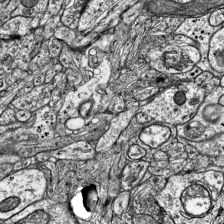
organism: Mouse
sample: Visual Cortex